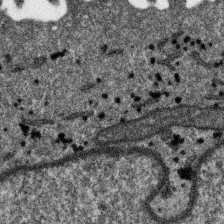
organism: Human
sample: Lung epithelial cells infected with SARS-CoV-2